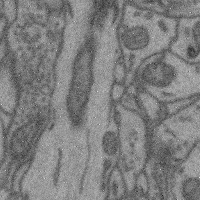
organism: Mouse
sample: Cerebral cortex